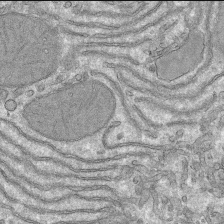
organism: Mouse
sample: Mouse hepatocytes